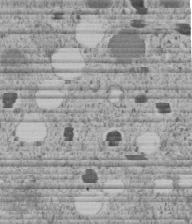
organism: C. elegans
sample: C. elegans embryo early stage